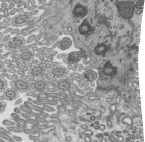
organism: Mouse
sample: Mouse epididymis efferent ductule cilia